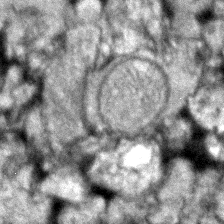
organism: Zebrafish